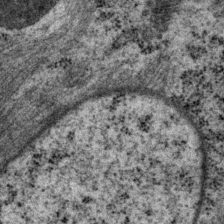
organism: P. pacificus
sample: Pharynx